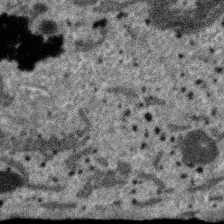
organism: Human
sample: Lung epithelial cells infected with SARS-CoV-2